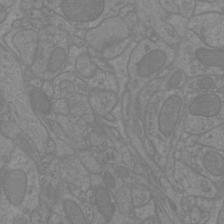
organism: Mouse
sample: Cortical neurons